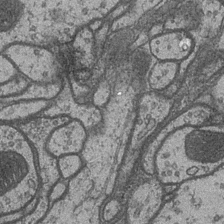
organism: Drosophila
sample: Optic medulla